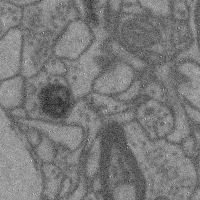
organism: Mouse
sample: Cerebral cortex